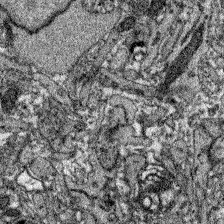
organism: Zebrafish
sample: Larval olfactory bulb